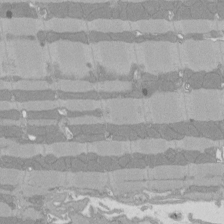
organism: Rat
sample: Left ventricle